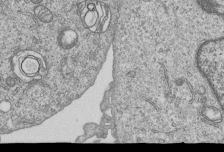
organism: Human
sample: MDA-MB-231 cells